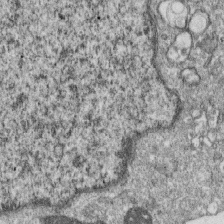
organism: African green monkey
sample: Vero E6 cells infected with SARS-CoV-2